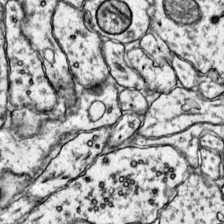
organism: Mouse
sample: Primary visual cortex